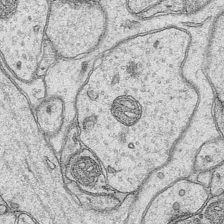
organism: Mouse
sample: CA1 Hippocampus